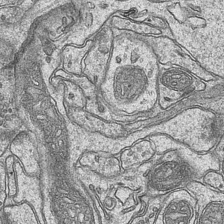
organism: Mouse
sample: CA1 Hippocampus